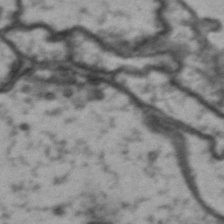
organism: Drosophila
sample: Brain